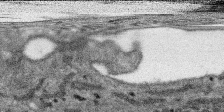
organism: Human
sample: Lung epithelial cells infected with SARS-CoV-2